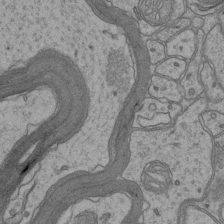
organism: Mouse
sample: CA1 Hippocampus